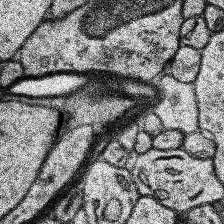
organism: Human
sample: Temporal Lobe